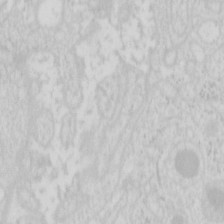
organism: Mouse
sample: Pancreas